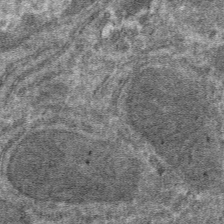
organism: Mouse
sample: Mouse hepatocytes